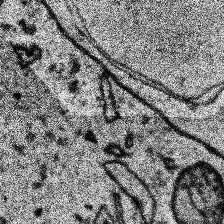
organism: Human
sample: Temporal Lobe